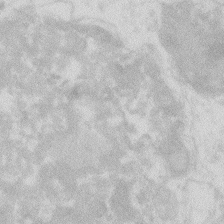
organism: Zebrafish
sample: Macrophage